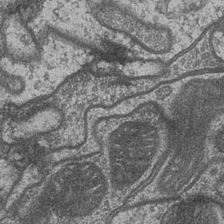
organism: Drosophila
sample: Optic medulla